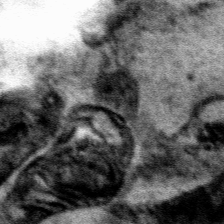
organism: Human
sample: Mitochondria in HCT116 cells